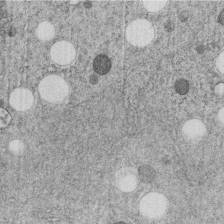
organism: C. elegans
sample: C. elegans embryo early stage